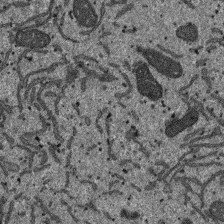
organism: Human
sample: Lung epithelial cells infected with SARS-CoV-2